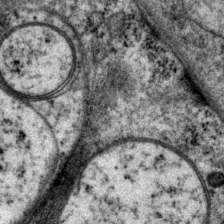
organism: P. pacificus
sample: Pharynx